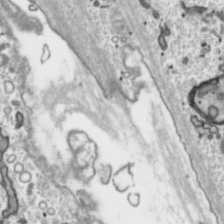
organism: Toxoplasma gondii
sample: Parasites in a vacuole inside a host cell